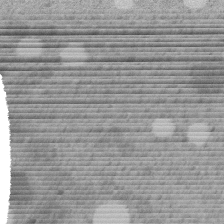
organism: C. elegans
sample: C. elegans embryo early stage